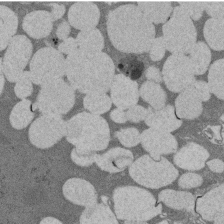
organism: Rat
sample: Salivary granule